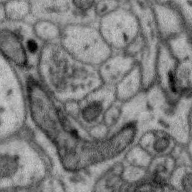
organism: Zebra finch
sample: Brain